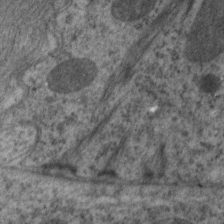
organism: C. elegans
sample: Pharynx